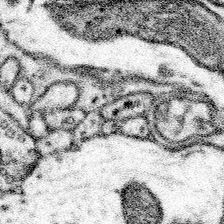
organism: Mouse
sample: Somatosensory cortex neuropil